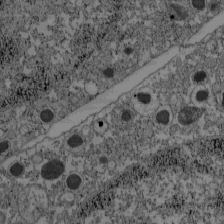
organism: C57BL Mouse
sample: Pancreatic islet